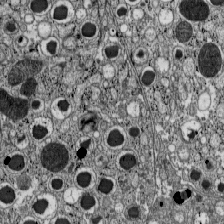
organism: C57BL Mouse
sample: Pancreatic islet